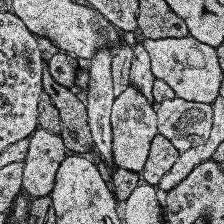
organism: Human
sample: Temporal Lobe